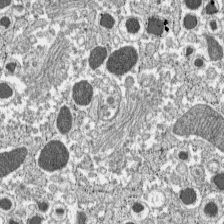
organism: C57BL Mouse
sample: Pancreatic islet